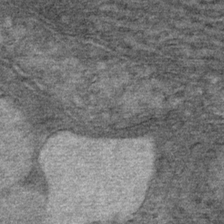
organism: Mouse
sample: Mouse Salivary gland